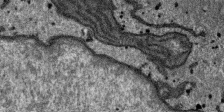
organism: Human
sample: Lung epithelial cells, uninfected (mock) control